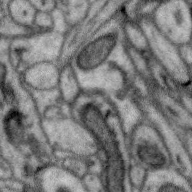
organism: Zebra finch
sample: Brain